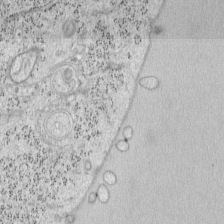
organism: Mouse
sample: OT-I killer T cells with ID8 ovarian cancer cells